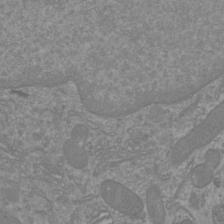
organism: Mouse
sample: Cortical neurons